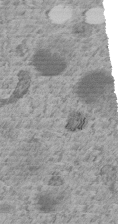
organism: C. elegans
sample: C. elegans embryo early stage